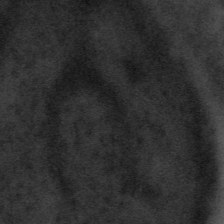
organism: Tuwongella immobilis